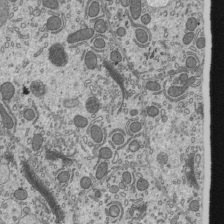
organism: Mouse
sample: Mouse epididymis efferent ductule cilia